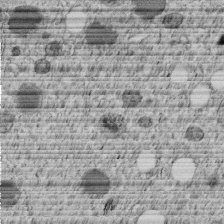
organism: C. elegans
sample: C. elegans embryo early stage